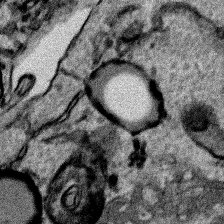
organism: Human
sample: Mitochondria in HCT116 cells